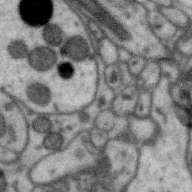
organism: Zebra finch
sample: Brain